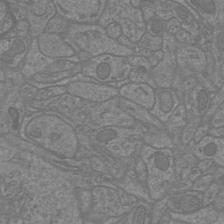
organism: Mouse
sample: Cortical neurons